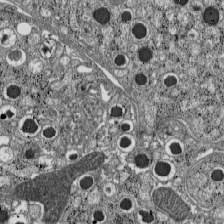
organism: C57BL Mouse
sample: Pancreatic islet